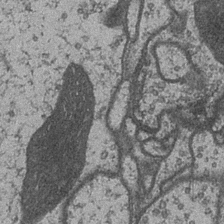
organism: Drosophila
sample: Optic medulla